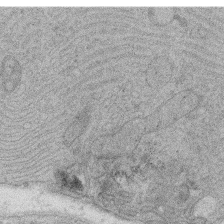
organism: Rat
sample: Salivary granule